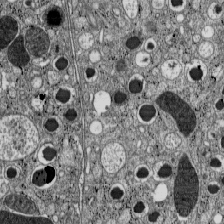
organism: C57BL Mouse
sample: Pancreatic islet